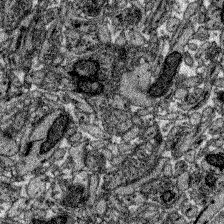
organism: Zebrafish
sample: Larval olfactory bulb